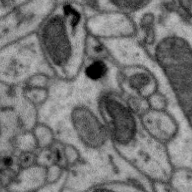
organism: Zebra finch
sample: Brain